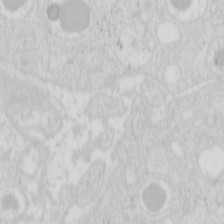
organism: Mouse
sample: Pancreas